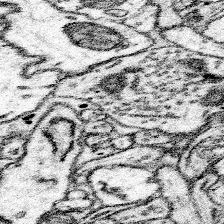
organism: Mouse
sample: Somatosensory cortex neuropil